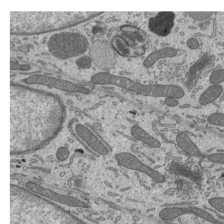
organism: Mouse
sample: Mouse epididymis efferent ductule cilia